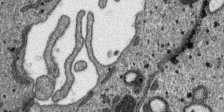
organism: Human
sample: Lung epithelial cells infected with SARS-CoV-2